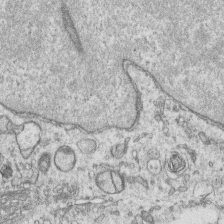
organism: Human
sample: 1205lu cells